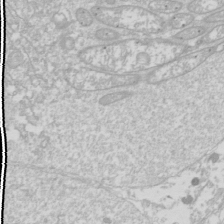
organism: Drosophila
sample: Cell division; meiosis; drosophila spermatocytes